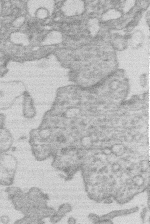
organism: Human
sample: Macrophage cells